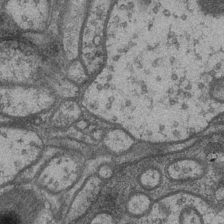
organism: Drosophila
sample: Optic medulla